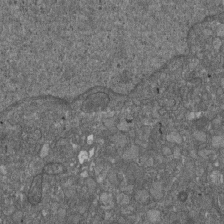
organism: Drosophila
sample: Nephrocyte